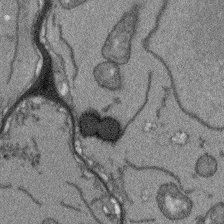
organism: Arabidopsis thaliana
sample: Root tip